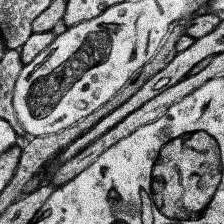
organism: Human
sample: Temporal Lobe